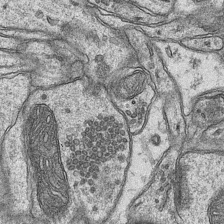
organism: Mouse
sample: CA1 Hippocampus